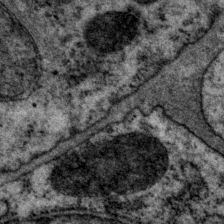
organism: P. pacificus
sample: Pharynx